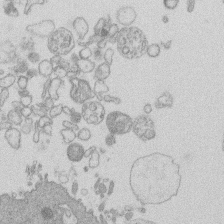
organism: Human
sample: Macrophage cells